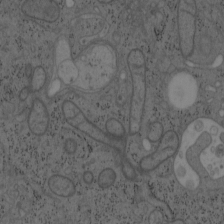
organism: Mouse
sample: OT-I killer T cells with ID8 ovarian cancer cells